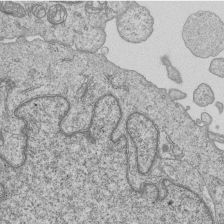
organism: Human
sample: MDA-MB-231 cells